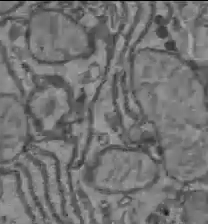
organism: C57BL Mouse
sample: Liver